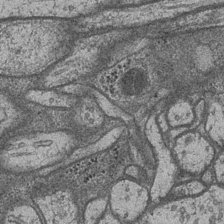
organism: Drosophila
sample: Optic medulla